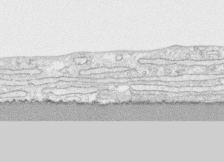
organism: Human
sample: CRL-1474